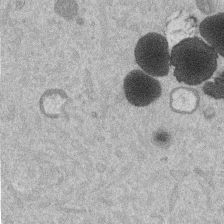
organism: Mouse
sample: Dividing mouse embryo 1 cell stage